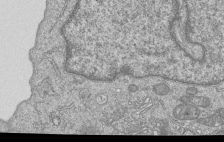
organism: Human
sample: MDA-MB-231 cells